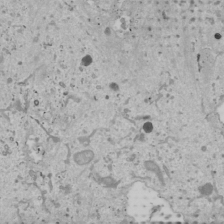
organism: Human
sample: Mitochondria in U2OS cells